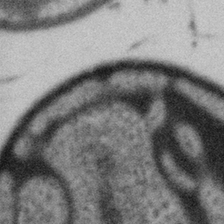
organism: Gemmata obscuriglobus